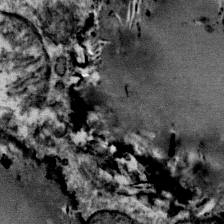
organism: Mouse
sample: Mouse Salivary gland